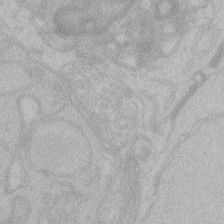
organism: Zebrafish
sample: Macrophage infected with Toxoplasma gondii